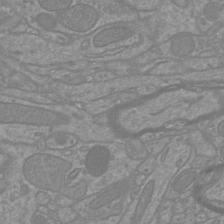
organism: Mouse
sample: Cortical neurons